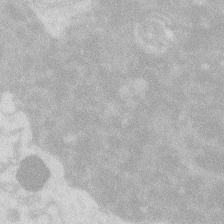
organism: Zebrafish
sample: Macrophage